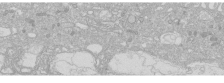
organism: Human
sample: Caco-2 cells